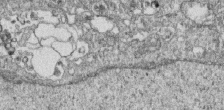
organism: Human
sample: HeLa cell HIV synapse